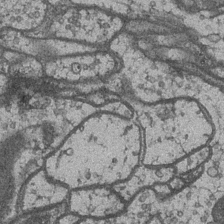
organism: Drosophila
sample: Optic medulla